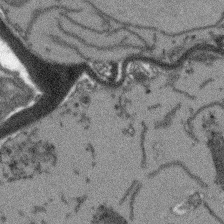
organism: Arabidopsis thaliana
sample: Root tip